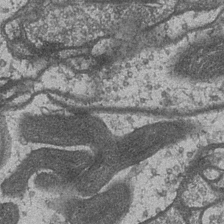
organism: Drosophila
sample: Optic medulla